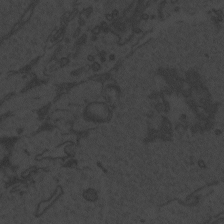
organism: Zebrafish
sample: Macrophage infected with Toxoplasma gondii